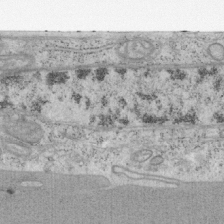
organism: Human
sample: HeLa cells